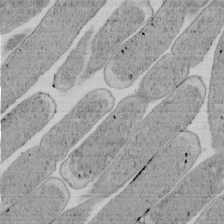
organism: E. coli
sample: Bacterial nucleoid